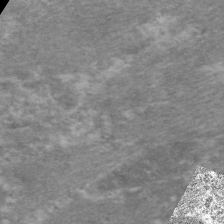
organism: C. elegans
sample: Pharynx